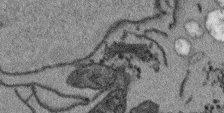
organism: Arabidopsis thaliana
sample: Root tip